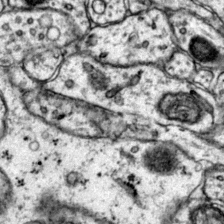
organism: Mouse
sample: Primary visual cortex